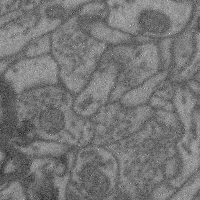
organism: Mouse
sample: Cerebral cortex